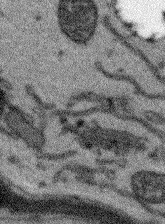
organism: Arabidopsis thaliana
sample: Root tip